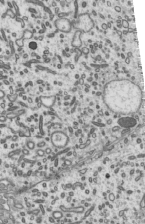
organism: Mouse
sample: Mouse epididymis efferent ductule cilia